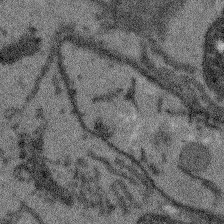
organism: Arabidopsis thaliana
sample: Root tip